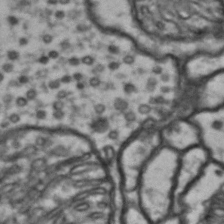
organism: Drosophila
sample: Brain